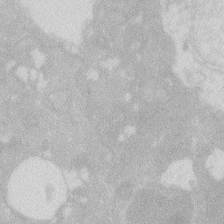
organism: Zebrafish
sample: Macrophage